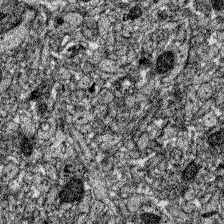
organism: Zebrafish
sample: Larval olfactory bulb